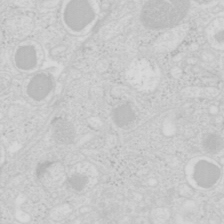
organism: Mouse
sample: Pancreas